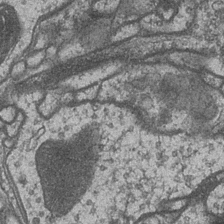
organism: Drosophila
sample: Optic medulla